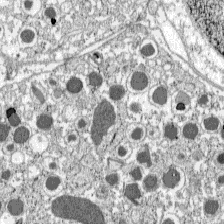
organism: C57BL Mouse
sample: Pancreatic islet